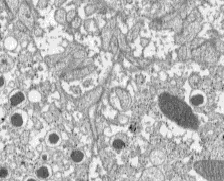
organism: C57BL Mouse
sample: Pancreatic islet